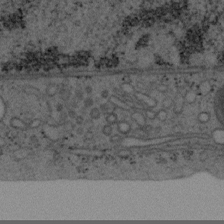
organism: Human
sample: HeLa cells